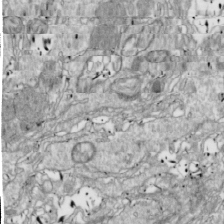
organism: Drosophila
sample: Cell division; meiosis; drosophila spermatocytes